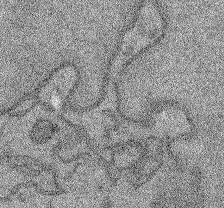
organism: Human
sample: HeLa cells